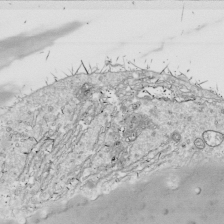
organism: Drosophila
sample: Cell division; meiosis; drosophila spermatocytes